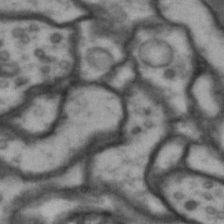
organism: Drosophila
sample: Brain